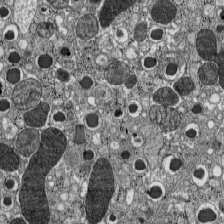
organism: C57BL Mouse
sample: Pancreatic islet